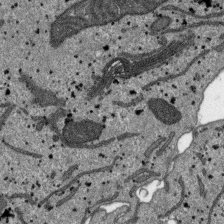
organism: Human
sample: Lung epithelial cells, uninfected (mock) control